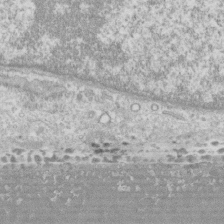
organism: Human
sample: CRL-1474